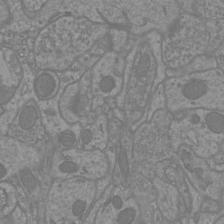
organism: Mouse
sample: Cortical neurons